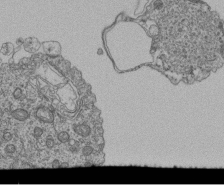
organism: Human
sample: Retinal organoid Rod and Cone cells